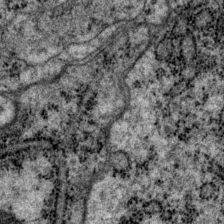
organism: P. pacificus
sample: Pharynx